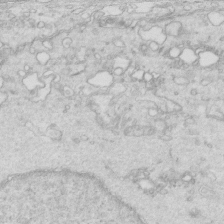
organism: Mouse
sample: Multiciliated cells